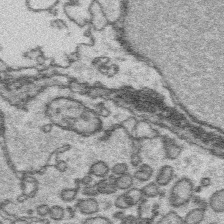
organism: Platynereis dumerilii